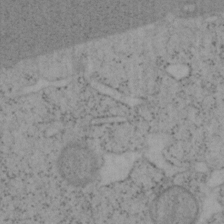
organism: Mouse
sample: OT-I killer T cells with ID8 ovarian cancer cells